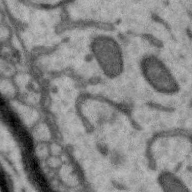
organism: Zebra finch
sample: Brain